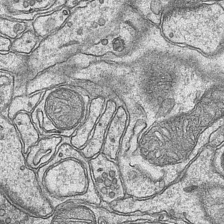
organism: Mouse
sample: CA1 Hippocampus